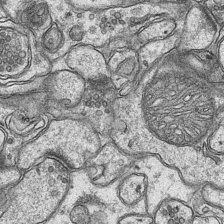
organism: Mouse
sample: CA1 Hippocampus